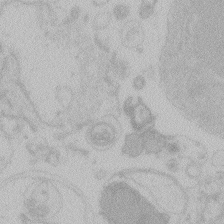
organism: Zebrafish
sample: Macrophage infected with Toxoplasma gondii